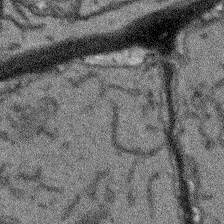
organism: Arabidopsis thaliana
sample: Root tip